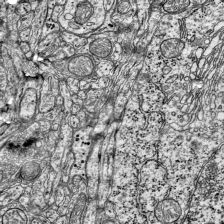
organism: Mouse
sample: Visual Cortex